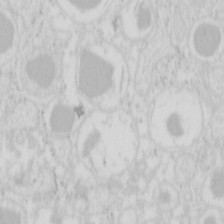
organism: Mouse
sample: Pancreas